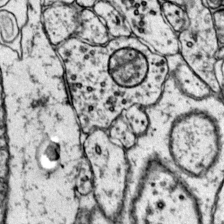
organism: Mouse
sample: Primary visual cortex